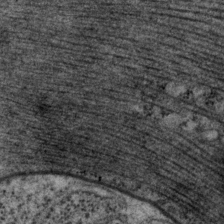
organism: P. pacificus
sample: Pharynx